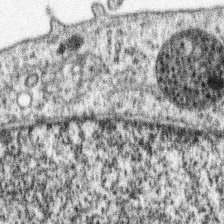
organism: Human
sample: HeLa cells